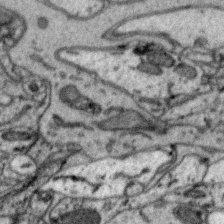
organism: Zebra finch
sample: Brain